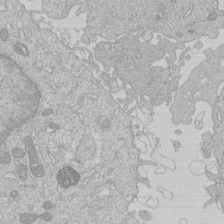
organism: Human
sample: Macrophage cells